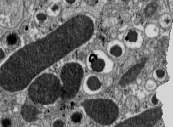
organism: C57BL Mouse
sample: Pancreatic islet